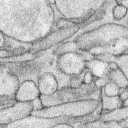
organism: Rabbit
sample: Retina